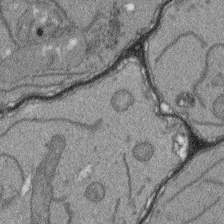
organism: Arabidopsis thaliana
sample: Root tip